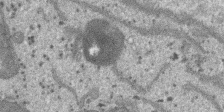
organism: Human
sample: Lung epithelial cells infected with SARS-CoV-2